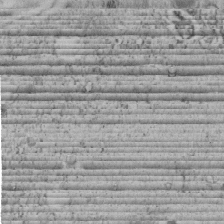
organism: C. elegans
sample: C. elegans embryo early stage